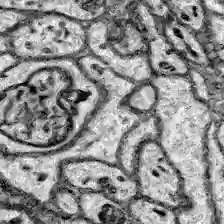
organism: Zebrafish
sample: Brain